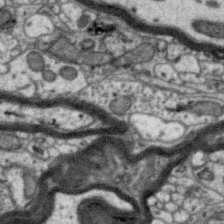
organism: Zebra finch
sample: Brain